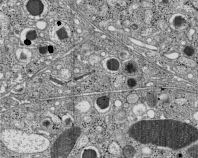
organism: C57BL Mouse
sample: Pancreatic islet